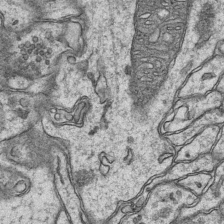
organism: Mouse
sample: CA1 Hippocampus